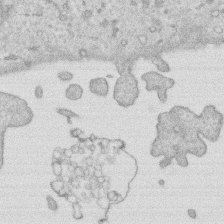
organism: Human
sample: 1205lu cells